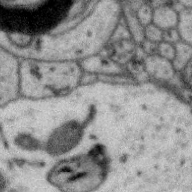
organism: Zebra finch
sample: Brain